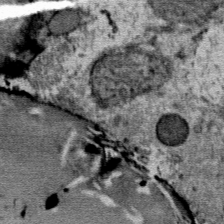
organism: Mouse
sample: Mouse Salivary gland